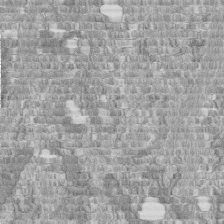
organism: Human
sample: Centriole in fibroblast cells